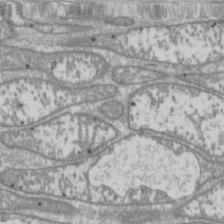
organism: Drosophila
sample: Cell division; meiosis; drosophila spermatocytes